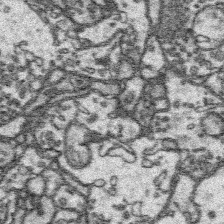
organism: Platynereis dumerilii